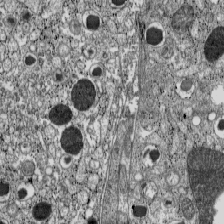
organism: C57BL Mouse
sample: Pancreatic islet